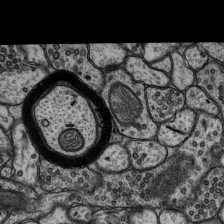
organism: Rat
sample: Hippocampus